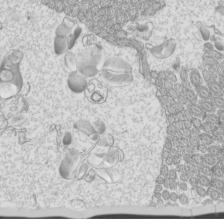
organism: Mouse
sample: Cilia; mouse epididymis